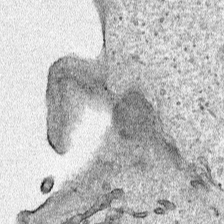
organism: Human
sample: Mitochondria in HCT116 cells